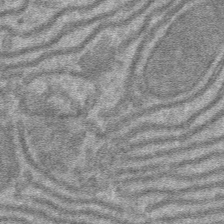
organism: Mouse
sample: Mouse hepatocytes